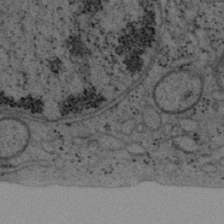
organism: Human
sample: HeLa cells